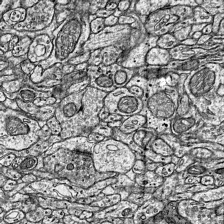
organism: Mouse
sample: Visual Cortex